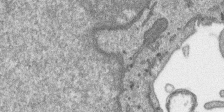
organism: Human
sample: Lung epithelial cells infected with SARS-CoV-2